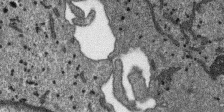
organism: Human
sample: Lung epithelial cells infected with SARS-CoV-2